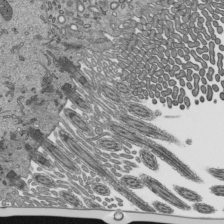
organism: Mouse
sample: Mouse epididymis efferent ductule cilia